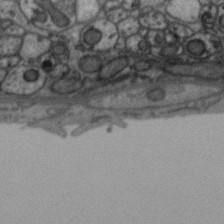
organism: Zebra finch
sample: Brain